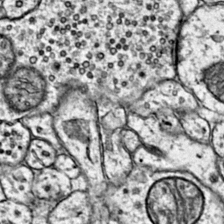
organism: Mouse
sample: Primary visual cortex